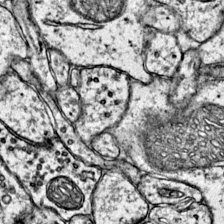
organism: Mouse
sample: Primary visual cortex